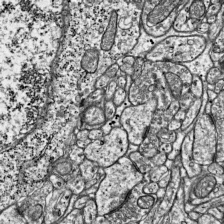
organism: Mouse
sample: Visual Cortex